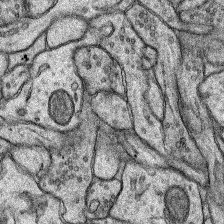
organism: Rat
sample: Hippocampus